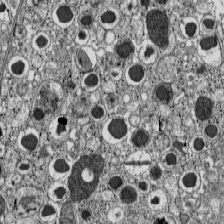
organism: C57BL Mouse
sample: Pancreatic islet